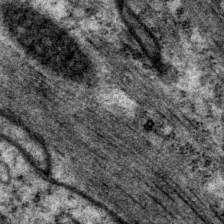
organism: P. pacificus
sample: Pharynx